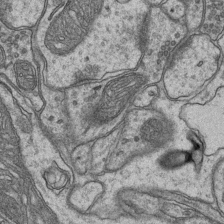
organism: Mouse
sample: CA1 Hippocampus